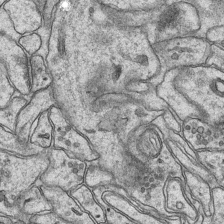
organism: Mouse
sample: CA1 Hippocampus